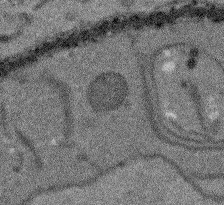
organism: Arabidopsis thaliana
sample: Root tip